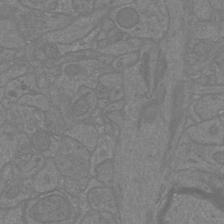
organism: Mouse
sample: Cortical neurons